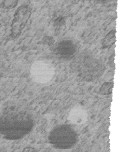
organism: C. elegans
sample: C. elegans embryo early stage